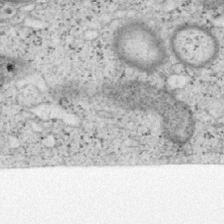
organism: Mouse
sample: OT-I killer T cells with ID8 ovarian cancer cells